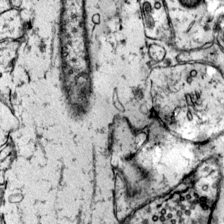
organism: Mouse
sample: Primary visual cortex